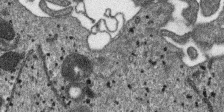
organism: Human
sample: Lung epithelial cells infected with SARS-CoV-2